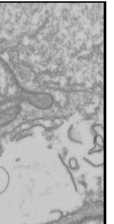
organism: Drosophila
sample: Cell division; meiosis; drosophila spermatocytes